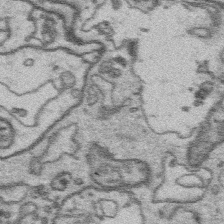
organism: Platynereis dumerilii